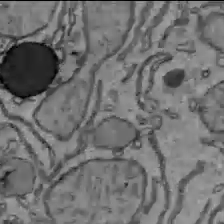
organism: C57BL Mouse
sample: Liver